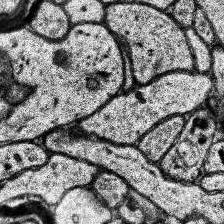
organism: Human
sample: Temporal Lobe